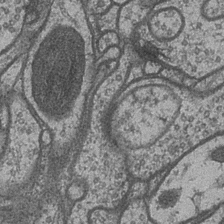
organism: Drosophila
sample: Optic medulla